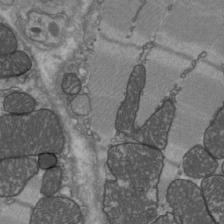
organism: C57BL Mouse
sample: Heart